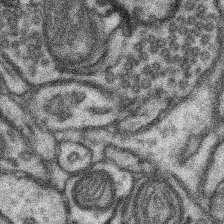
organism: Mouse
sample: Somatosensory cortex neuropil